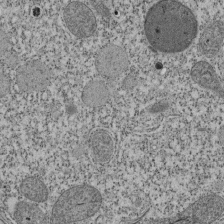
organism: Tetrahymena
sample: Cilia in tetrahymena